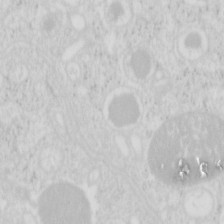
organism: Mouse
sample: Pancreas